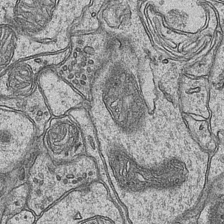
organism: Mouse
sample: CA1 Hippocampus